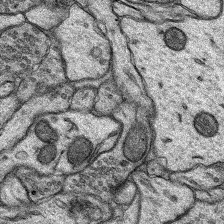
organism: Rat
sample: Hippocampus